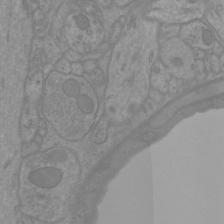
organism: Mouse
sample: Cortical neurons